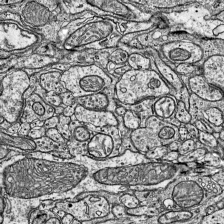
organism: Mouse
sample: Visual Cortex